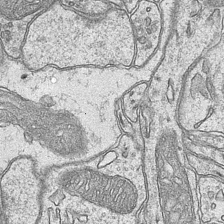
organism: Mouse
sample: CA1 Hippocampus